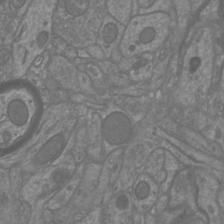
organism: Mouse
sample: Cortical neurons